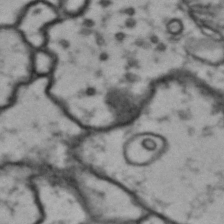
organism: Drosophila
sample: Brain